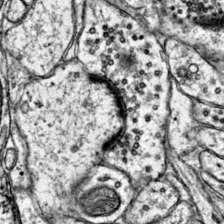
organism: Mouse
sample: Primary visual cortex